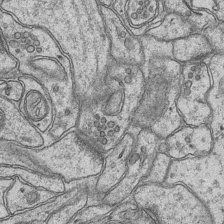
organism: Mouse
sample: CA1 Hippocampus